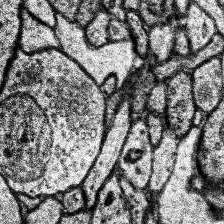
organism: Human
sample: Temporal Lobe